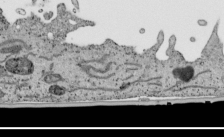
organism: Human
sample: Mitochondria in HCT116 cells